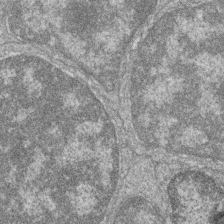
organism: Zebrafish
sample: Cilia; retinal pigment epithelium